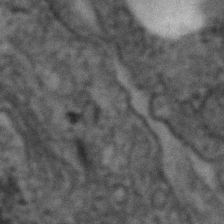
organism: Human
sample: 1205lu cells